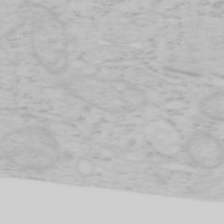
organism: Mouse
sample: OT-I killer T cells with ID8 ovarian cancer cells